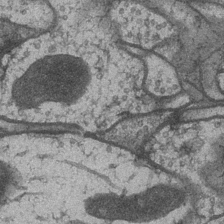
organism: Drosophila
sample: Optic medulla